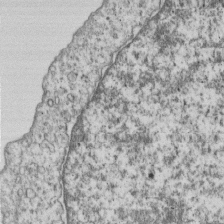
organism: Human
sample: MDA-MB-231 cells